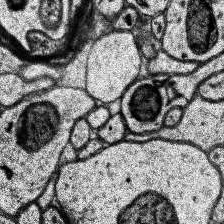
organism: Human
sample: Temporal Lobe